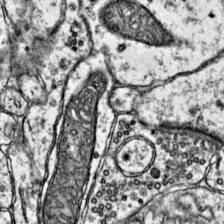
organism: Mouse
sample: Primary visual cortex